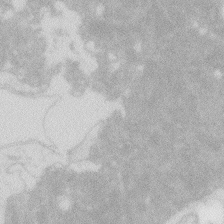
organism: Zebrafish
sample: Macrophage